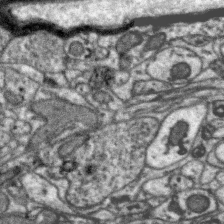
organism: Zebra finch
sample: Brain